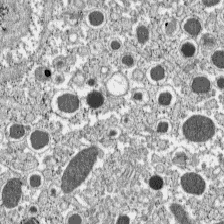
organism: C57BL Mouse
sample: Pancreatic islet